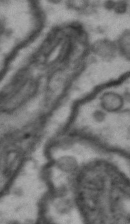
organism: Drosophila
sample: Brain